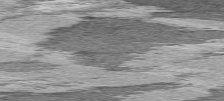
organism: C57BL Mouse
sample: Heart